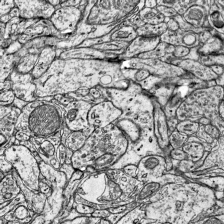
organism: Mouse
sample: Visual Cortex